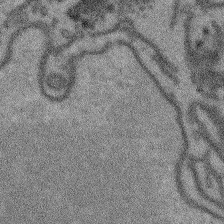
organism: Arabidopsis thaliana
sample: Root tip